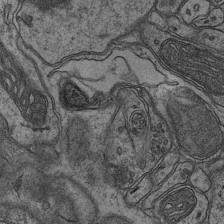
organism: Mouse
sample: CA1 Hippocampus